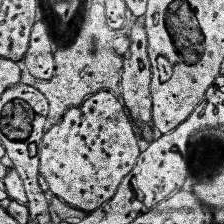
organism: Human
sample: Temporal Lobe